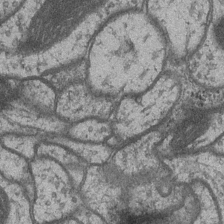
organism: Drosophila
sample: Optic medulla